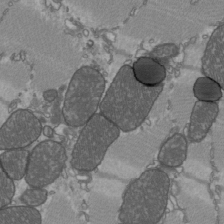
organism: C57BL Mouse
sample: Heart